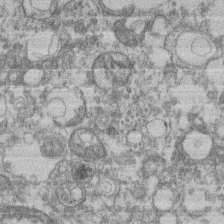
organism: Mouse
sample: T cell stromal cell synapse